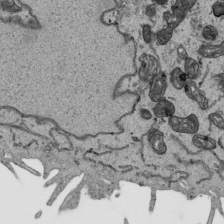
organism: Human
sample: Mitochondria in HCT116 cells